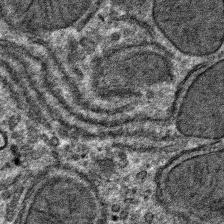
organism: Mouse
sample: Mouse hepatocytes